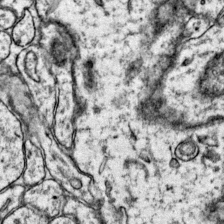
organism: Mouse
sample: Primary visual cortex